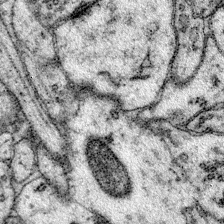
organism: Mouse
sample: Primary visual cortex